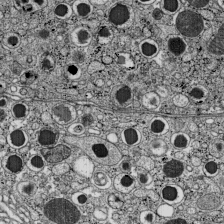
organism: C57BL Mouse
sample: Pancreatic islet